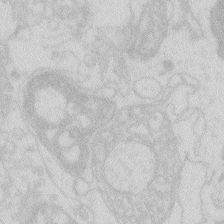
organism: Zebrafish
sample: Macrophage